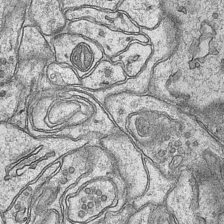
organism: Mouse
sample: CA1 Hippocampus